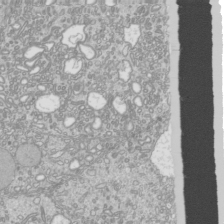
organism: Mouse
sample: Cilia; mouse epididymis